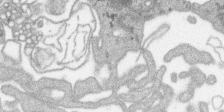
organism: Human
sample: Lung epithelial cells infected with SARS-CoV-2